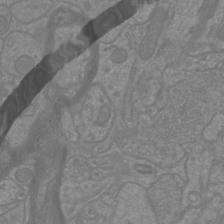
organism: Mouse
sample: Cortical neurons